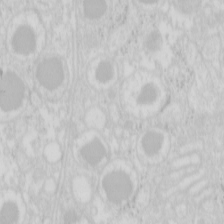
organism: Mouse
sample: Pancreas